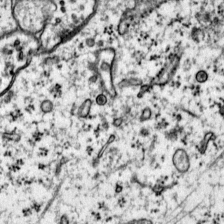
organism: Mouse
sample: Primary visual cortex